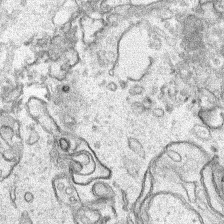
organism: Human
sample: Mitochondria in HCT116 cells